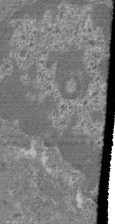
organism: Mouse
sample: Glomerulus